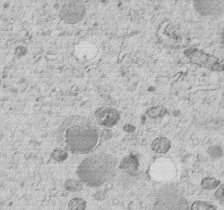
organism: C. elegans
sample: C. elegans embryo early stage